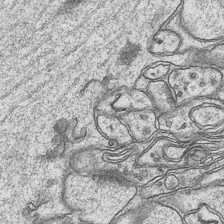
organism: Mouse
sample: CA1 Hippocampus